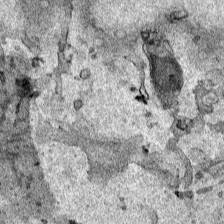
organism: Human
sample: Mitochondria in HCT116 cells